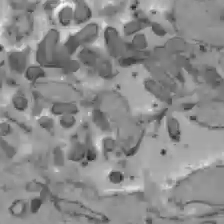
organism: C57BL Mouse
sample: Liver